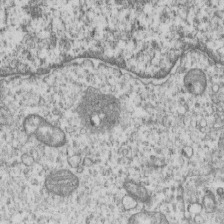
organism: Human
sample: MDA-MB-231 cells